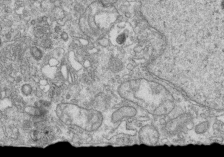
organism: Human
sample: HeLa cell HIV synapse